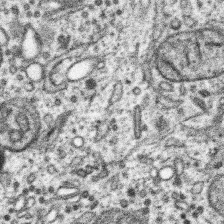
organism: Human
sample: HeLa cells